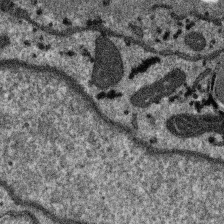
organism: Human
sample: Lung epithelial cells infected with SARS-CoV-2